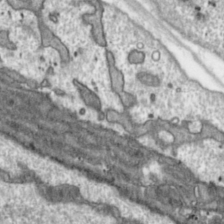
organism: Toxoplasma gondii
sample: Parasites in a vacuole inside a host cell